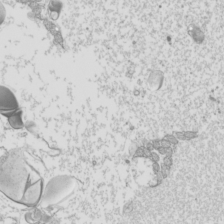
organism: Mouse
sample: Cilia; mouse epididymis